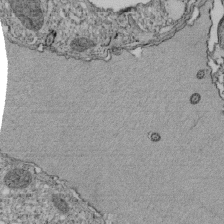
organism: Tetrahymena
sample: Cilia in tetrahymena